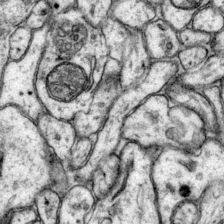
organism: Mouse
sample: Primary visual cortex